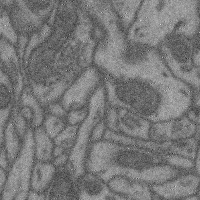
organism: Mouse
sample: Cerebral cortex